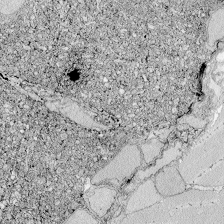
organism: Zebrafish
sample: Whole-Brain